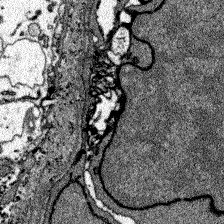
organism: Zebrafish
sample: Larval olfactory bulb